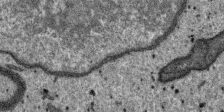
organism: Human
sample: Lung epithelial cells, uninfected (mock) control